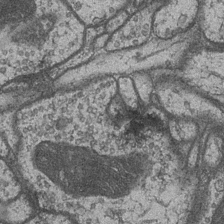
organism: Drosophila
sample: Optic medulla